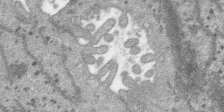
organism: Human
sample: Lung epithelial cells infected with SARS-CoV-2